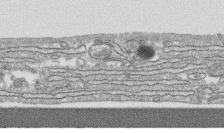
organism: Human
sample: CRL-1474